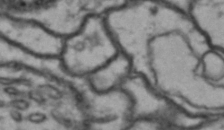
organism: Drosophila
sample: Brain